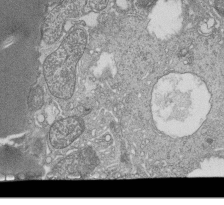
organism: Tetrahymena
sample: Cilia in tetrahymena